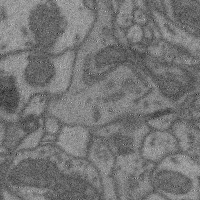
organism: Mouse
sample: Cerebral cortex